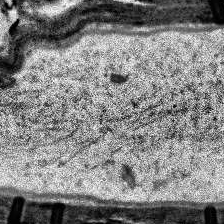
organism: Human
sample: Temporal Lobe